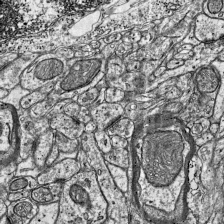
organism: Mouse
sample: Visual Cortex